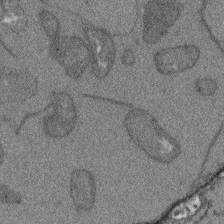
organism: Arabidopsis thaliana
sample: Root tip